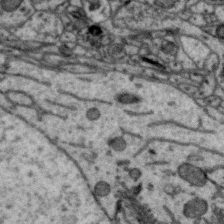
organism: Zebra finch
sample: Brain